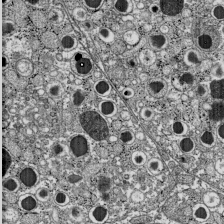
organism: C57BL Mouse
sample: Pancreatic islet